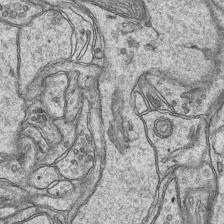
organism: Mouse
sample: CA1 Hippocampus